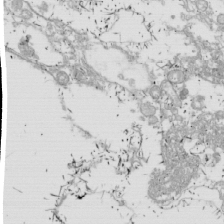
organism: Drosophila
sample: Cell division; meiosis; drosophila spermatocytes